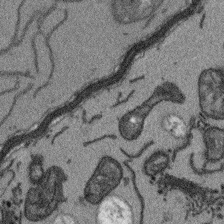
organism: Arabidopsis thaliana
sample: Root tip